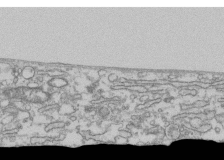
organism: Human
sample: Fibroblast cells